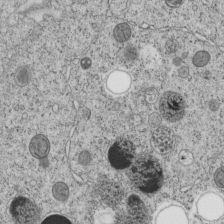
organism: C. elegans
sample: C. elegans embryo early stage